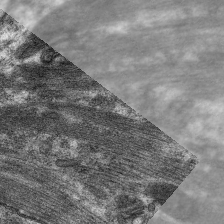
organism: C. elegans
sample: Pharynx